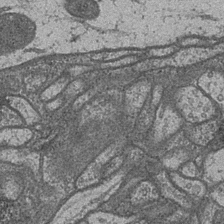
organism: Drosophila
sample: Optic medulla